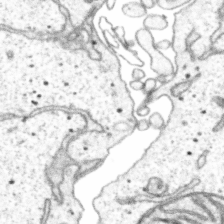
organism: Human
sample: HeLa cells